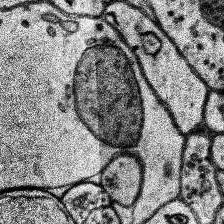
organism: Human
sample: Temporal Lobe